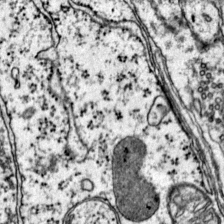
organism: Mouse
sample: Primary visual cortex